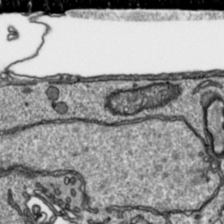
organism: Toxoplasma gondii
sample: Parasites in a vacuole inside a host cell